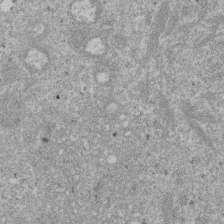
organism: Mouse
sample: Dividing mouse embryo 1 cell stage